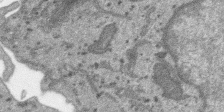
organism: Human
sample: Lung epithelial cells infected with SARS-CoV-2